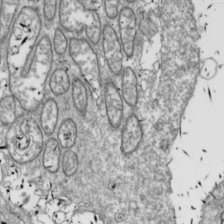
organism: Drosophila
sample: Cell division; meiosis; drosophila spermatocytes